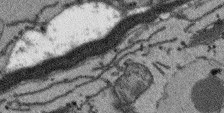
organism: Arabidopsis thaliana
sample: Root tip